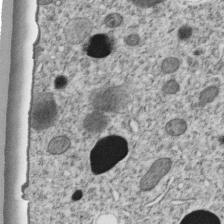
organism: C. elegans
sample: C. elegans embryo early stage